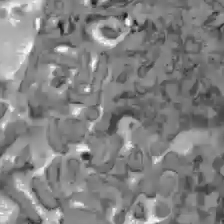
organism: C57BL Mouse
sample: Liver